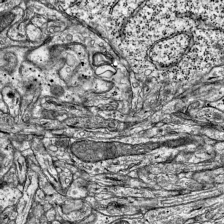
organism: Mouse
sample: Visual Cortex